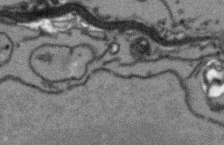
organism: Arabidopsis thaliana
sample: Root tip